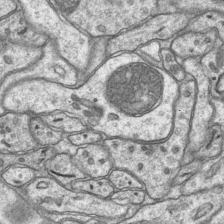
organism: Mouse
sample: CA1 Hippocampus